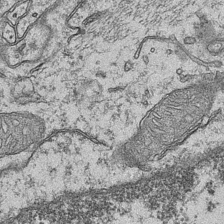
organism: Mouse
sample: CA1 Hippocampus